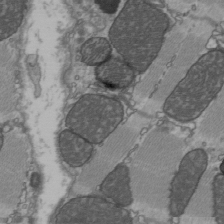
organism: C57BL Mouse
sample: Heart